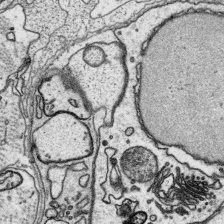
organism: Platynereis dumerilii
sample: Parapodia